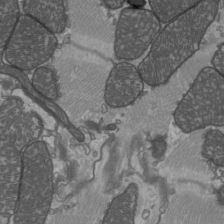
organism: C57BL Mouse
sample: Heart